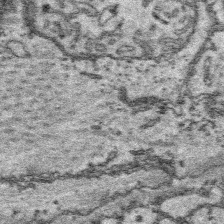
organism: Platynereis dumerilii